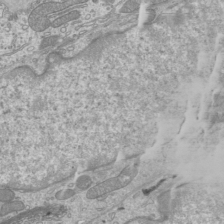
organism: Mouse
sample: Cilia; mouse epididymis